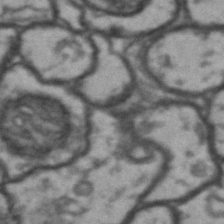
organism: Drosophila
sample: Brain